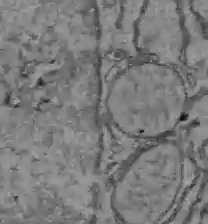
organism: C57BL Mouse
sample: Liver